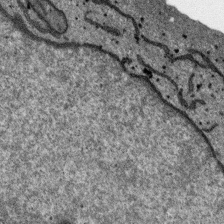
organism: Human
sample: Lung epithelial cells, uninfected (mock) control